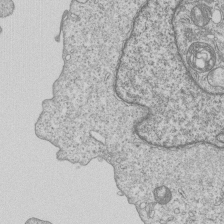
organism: Human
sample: MDA-MB-231 cells